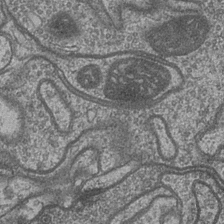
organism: Drosophila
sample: Optic medulla